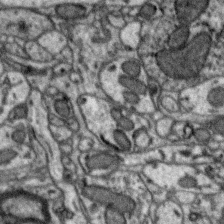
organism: Zebra finch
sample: Brain